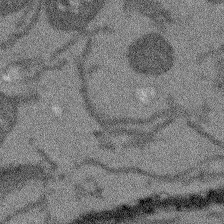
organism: Arabidopsis thaliana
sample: Root tip